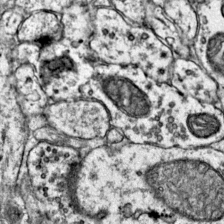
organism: Mouse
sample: Primary visual cortex